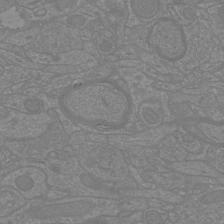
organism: Mouse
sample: Cortical neurons